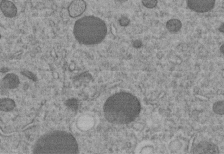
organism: C. elegans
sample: C. elegans embryo early stage